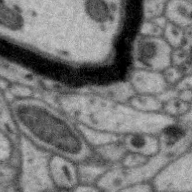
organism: Zebra finch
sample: Brain